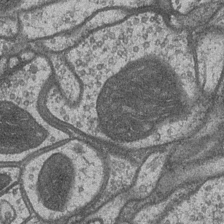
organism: Drosophila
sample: Optic medulla